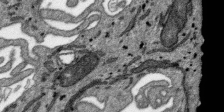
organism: Human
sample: Lung epithelial cells, uninfected (mock) control